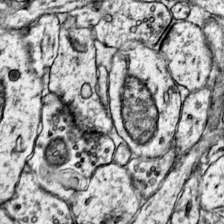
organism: Mouse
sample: Primary visual cortex